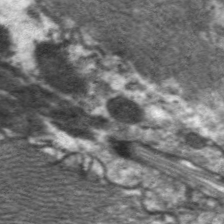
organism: C. elegans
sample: Pharynx